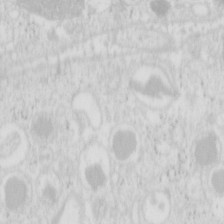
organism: Mouse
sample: Pancreas